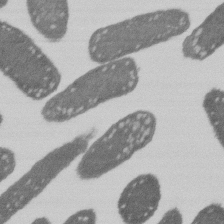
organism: E. coli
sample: Bacterial nucleoid